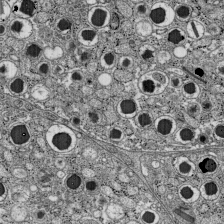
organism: C57BL Mouse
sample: Pancreatic islet